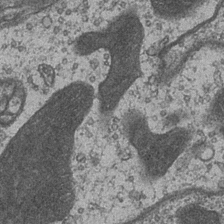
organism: Drosophila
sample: Optic medulla